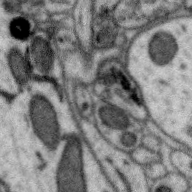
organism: Zebra finch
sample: Brain